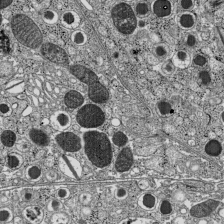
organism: C57BL Mouse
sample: Pancreatic islet